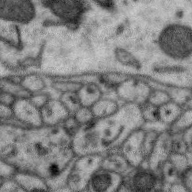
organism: Zebra finch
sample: Brain